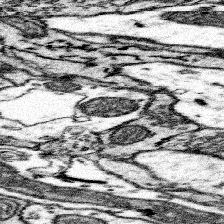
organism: Mouse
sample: Somatosensory cortex neuropil